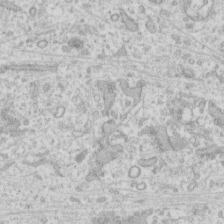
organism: Human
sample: Fibroblast cells